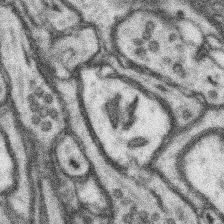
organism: Mouse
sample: Somatosensory cortex neuropil